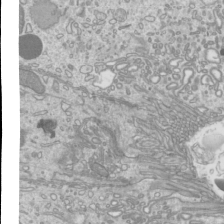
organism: Mouse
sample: Cilia; mouse epididymis